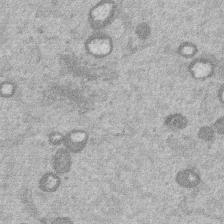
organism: Mouse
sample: Dividing mouse embryo 1 cell stage